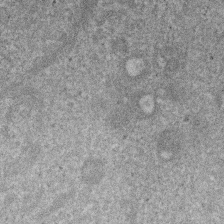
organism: Mouse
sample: Dividing mouse embryo 1 cell stage